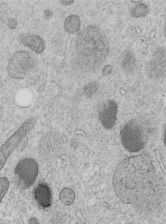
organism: C. elegans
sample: C. elegans embryo early stage